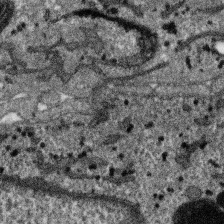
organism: Human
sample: Lung epithelial cells infected with SARS-CoV-2